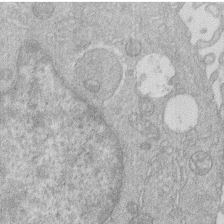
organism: Human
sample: Macrophage cells